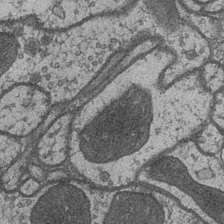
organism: Drosophila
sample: Optic medulla